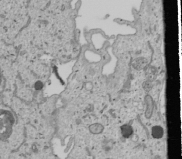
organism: Human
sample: Mitochondria in U2OS cells